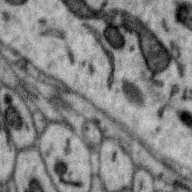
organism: Zebra finch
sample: Brain